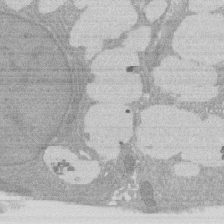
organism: Rat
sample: Salivary granule